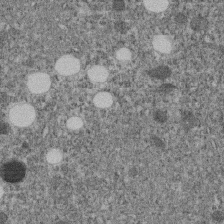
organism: C. elegans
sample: C. elegans embryo early stage